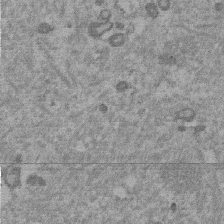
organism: Mouse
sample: Dividing mouse embryo 1 cell stage